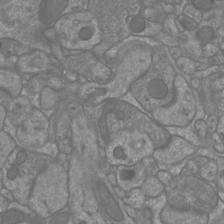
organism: Mouse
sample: Cortical neurons